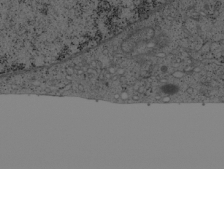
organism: African green monkey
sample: COS-7 cells